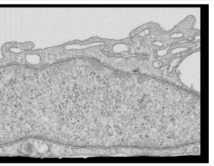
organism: Human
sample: Centriole in RPE cells